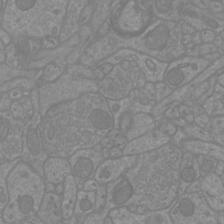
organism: Mouse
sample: Cortical neurons